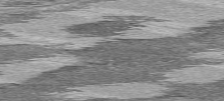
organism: C57BL Mouse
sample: Heart